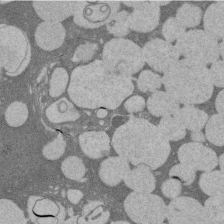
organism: Rat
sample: Salivary granule